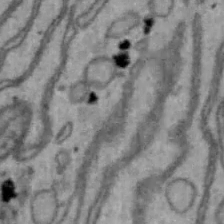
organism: Mouse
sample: Liver